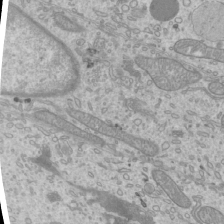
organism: Mouse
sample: Cilia; mouse epididymis